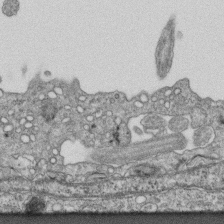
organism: Mouse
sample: Centriole in ependymal cells